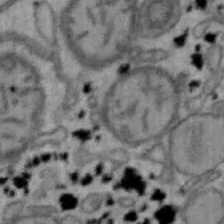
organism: Mouse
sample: Liver